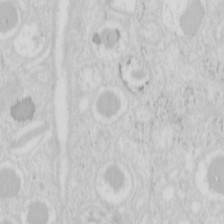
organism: Mouse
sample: Pancreas